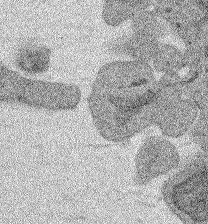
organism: Human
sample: HeLa cells